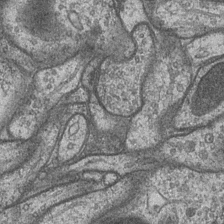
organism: Drosophila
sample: Optic medulla